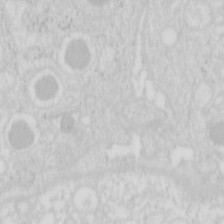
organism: Mouse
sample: Pancreas